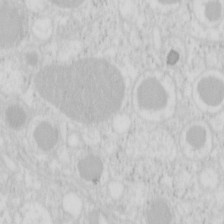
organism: Mouse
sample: Pancreas